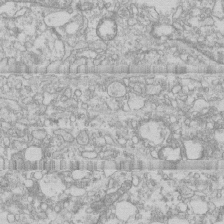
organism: Human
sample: CRL-1474